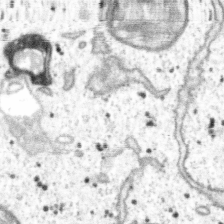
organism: Human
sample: HeLa cells